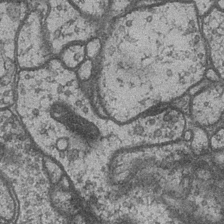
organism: Drosophila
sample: Optic medulla